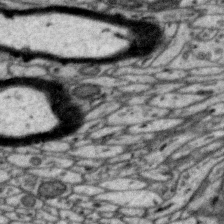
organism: Zebra finch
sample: Brain